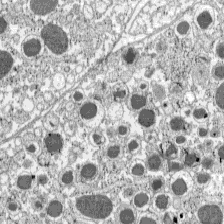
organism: C57BL Mouse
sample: Pancreatic islet